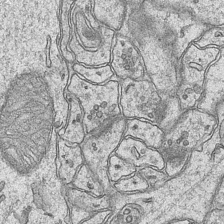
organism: Mouse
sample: CA1 Hippocampus